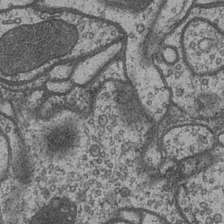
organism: Drosophila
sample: Optic medulla